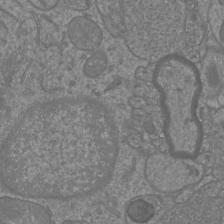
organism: Mouse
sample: Cortical neurons